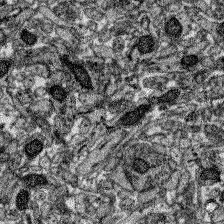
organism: Zebrafish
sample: Larval olfactory bulb